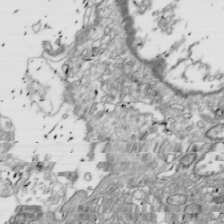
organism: Drosophila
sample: Cell division; meiosis; drosophila spermatocytes